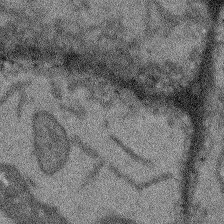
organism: Arabidopsis thaliana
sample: Root tip